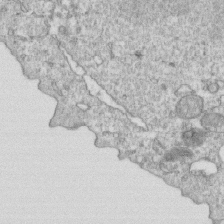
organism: Mouse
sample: Activated OT-1 CD8+ T cells